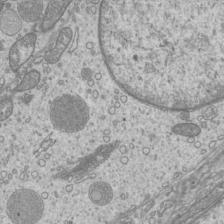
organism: Mouse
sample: Cilia; mouse epididymis